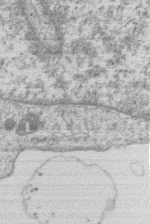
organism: Human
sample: Macrophage cells